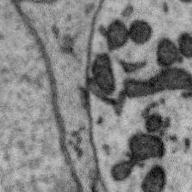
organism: Zebra finch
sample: Brain